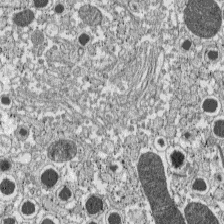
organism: C57BL Mouse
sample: Pancreatic islet